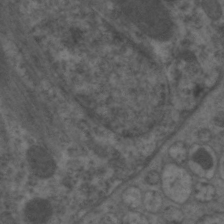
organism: C. elegans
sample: Pharynx